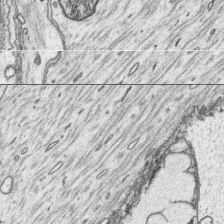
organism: Platynereis dumerilii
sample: Parapodia